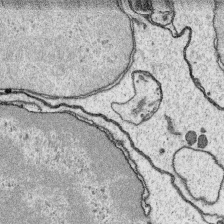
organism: Platynereis dumerilii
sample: Parapodia